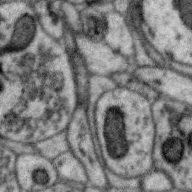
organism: Zebra finch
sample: Brain